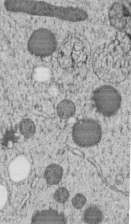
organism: C. elegans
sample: C. elegans embryo early stage